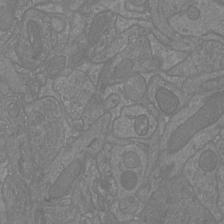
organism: Mouse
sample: Cortical neurons